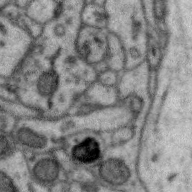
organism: Zebra finch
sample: Brain